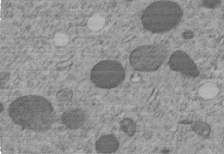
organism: C. elegans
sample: C. elegans embryo early stage